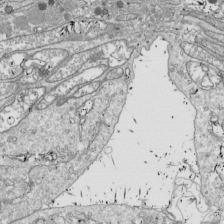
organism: Drosophila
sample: Cell division; meiosis; drosophila spermatocytes